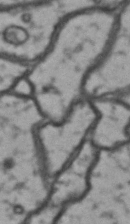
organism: Drosophila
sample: Brain